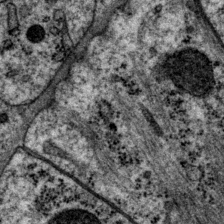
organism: P. pacificus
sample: Pharynx